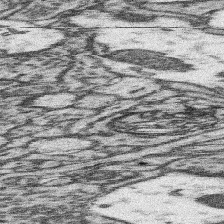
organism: Mouse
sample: Somatosensory cortex neuropil